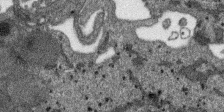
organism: Human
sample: Lung epithelial cells infected with SARS-CoV-2